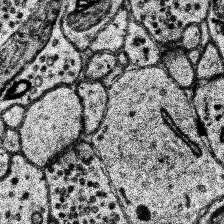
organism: Human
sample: Temporal Lobe